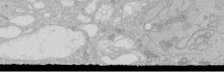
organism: Human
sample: Caco-2 cells